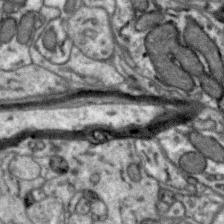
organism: Zebra finch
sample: Brain